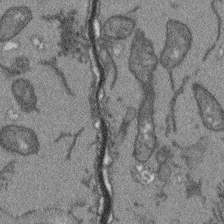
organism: Arabidopsis thaliana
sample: Root tip